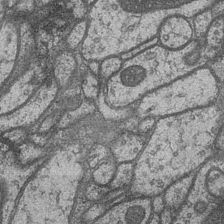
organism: Drosophila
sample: Optic medulla